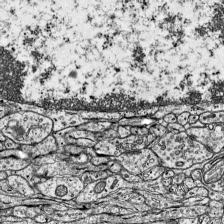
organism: Mouse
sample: Visual Cortex